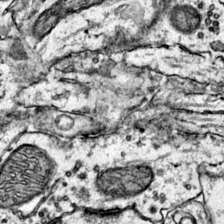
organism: Mouse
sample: Primary visual cortex